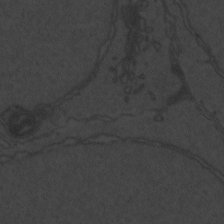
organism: Zebrafish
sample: Macrophage infected with Toxoplasma gondii